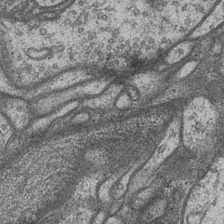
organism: Drosophila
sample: Optic medulla